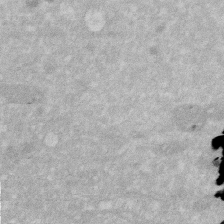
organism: Human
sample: HIV infected U937 cells